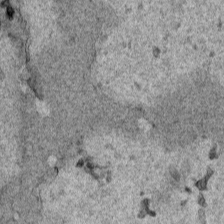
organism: Human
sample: Mitochondria in HCT116 cells